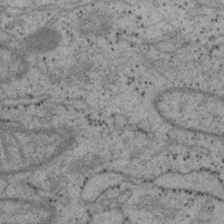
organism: Human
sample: HeLa cells